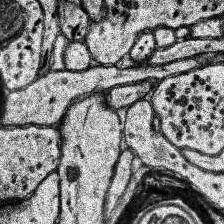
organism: Human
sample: Temporal Lobe